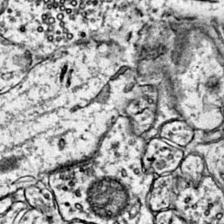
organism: Mouse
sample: Primary visual cortex